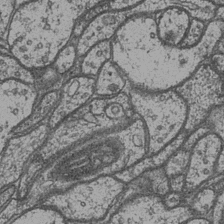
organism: Drosophila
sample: Optic medulla